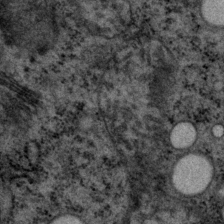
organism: P. pacificus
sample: Pharynx